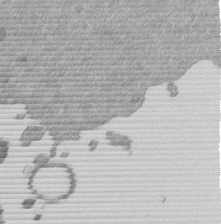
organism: Mouse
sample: Dividing mouse embryo 1 cell stage